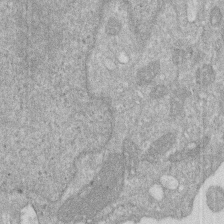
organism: Human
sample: HIV infected U937 cells